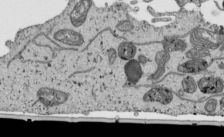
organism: Human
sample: Mitochondria in HCT116 cells